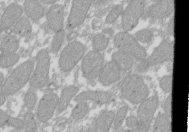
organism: Xenopus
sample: Cilia; centrioles in frog embryo cells